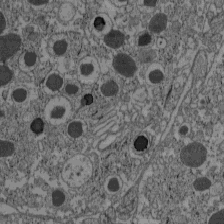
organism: C57BL Mouse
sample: Pancreatic islet